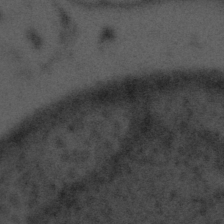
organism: Tuwongella immobilis